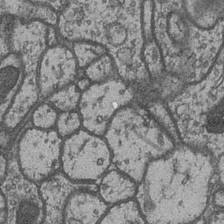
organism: Drosophila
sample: Optic medulla